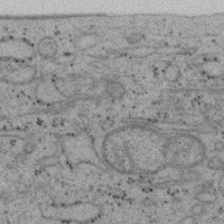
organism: Human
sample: HeLa cells